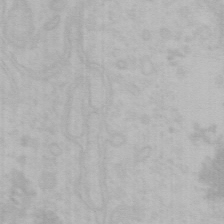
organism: Mouse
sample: Choroid plexus